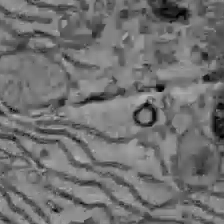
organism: C57BL Mouse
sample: Liver